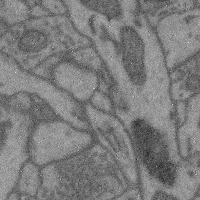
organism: Mouse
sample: Cerebral cortex